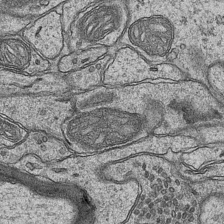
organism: Mouse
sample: CA1 Hippocampus